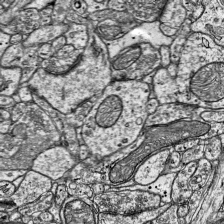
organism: Mouse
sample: Visual Cortex